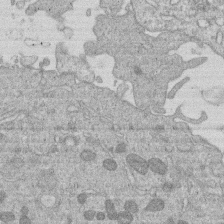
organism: Human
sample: Macrophage cells